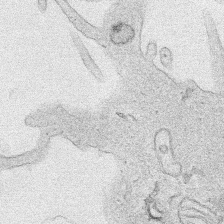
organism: Human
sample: Mitochondria in HCT116 cells